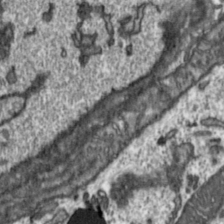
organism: Toxoplasma gondii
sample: Parasites in a vacuole inside a host cell